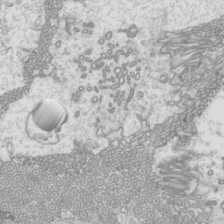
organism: Mouse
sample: Cilia; mouse epididymis